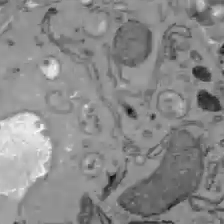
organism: C57BL Mouse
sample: Liver